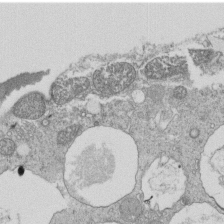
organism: Tetrahymena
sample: Cilia in tetrahymena